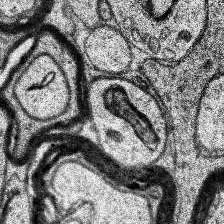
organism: Human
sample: Temporal Lobe